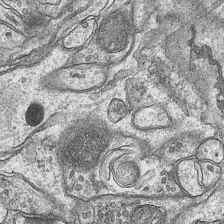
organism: Mouse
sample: CA1 Hippocampus